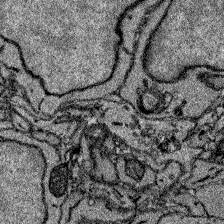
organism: Zebrafish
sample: Larval olfactory bulb